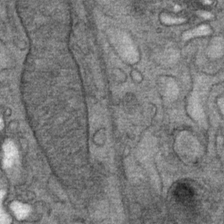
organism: Mouse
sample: Mouse Salivary gland